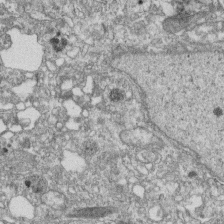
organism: Human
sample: HeLa cell HIV synapse